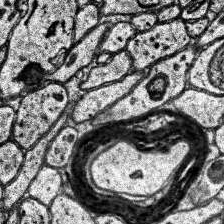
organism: Human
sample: Temporal Lobe